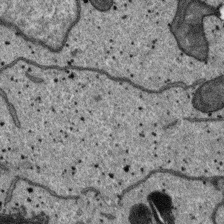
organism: Human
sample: Lung epithelial cells, uninfected (mock) control